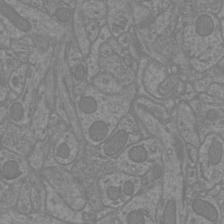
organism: Mouse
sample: Cortical neurons